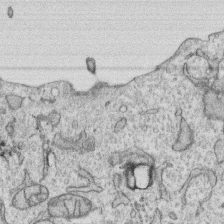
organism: Human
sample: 1205lu cells